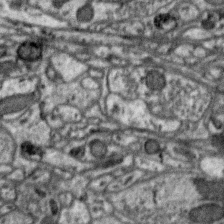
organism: Zebra finch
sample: Brain